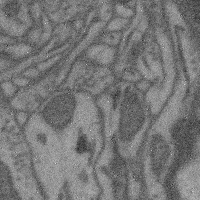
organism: Mouse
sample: Cerebral cortex